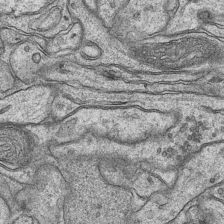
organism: Mouse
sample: CA1 Hippocampus